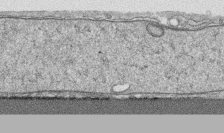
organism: Human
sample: CRL-1474